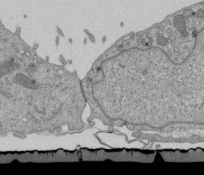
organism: Mouse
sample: ED-1 cell nuclei; centrioles